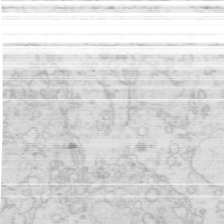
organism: Mouse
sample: Multiciliated cells